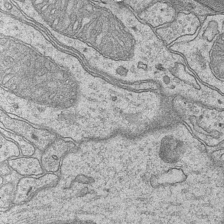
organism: Mouse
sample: CA1 Hippocampus